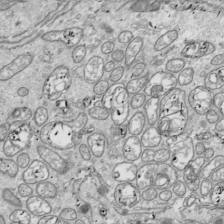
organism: Drosophila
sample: Cell division; meiosis; drosophila spermatocytes